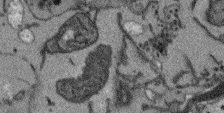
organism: Arabidopsis thaliana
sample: Root tip